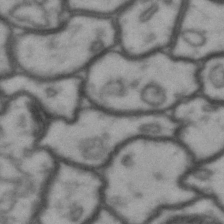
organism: Drosophila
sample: Brain